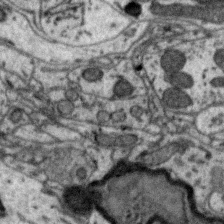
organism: Zebra finch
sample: Brain